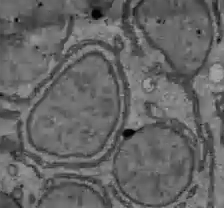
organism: C57BL Mouse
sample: Liver